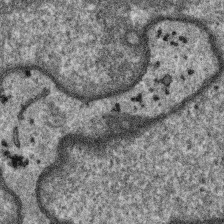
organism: Human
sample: Lung epithelial cells infected with SARS-CoV-2